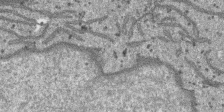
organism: Human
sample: Lung epithelial cells infected with SARS-CoV-2